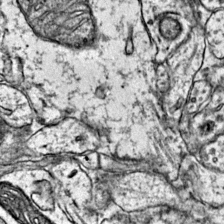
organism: Mouse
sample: Primary visual cortex